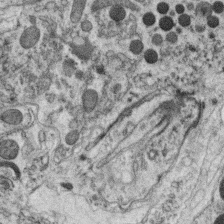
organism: C. elegans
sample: C. elegans oocyte; sperm cells